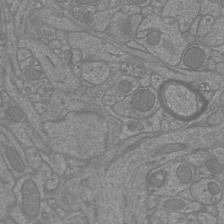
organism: Mouse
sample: Cortical neurons